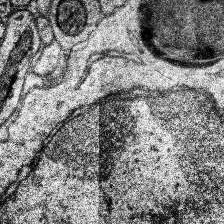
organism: Human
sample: Temporal Lobe